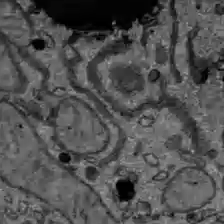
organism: C57BL Mouse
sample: Liver